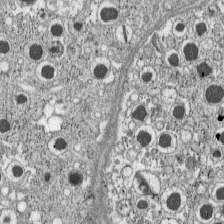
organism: C57BL Mouse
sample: Pancreatic islet